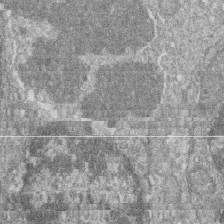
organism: Zebrafish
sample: Cilia; retinal pigment epithelium